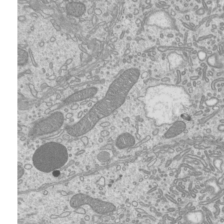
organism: Mouse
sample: Cilia; mouse epididymis